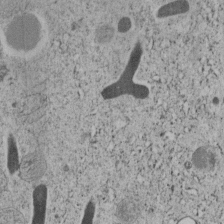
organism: C. elegans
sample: C. elegans embryo early stage